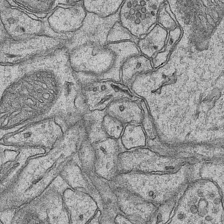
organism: Mouse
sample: CA1 Hippocampus